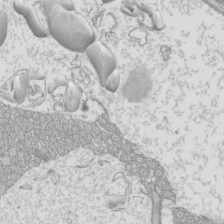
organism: Mouse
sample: Cilia; mouse epididymis